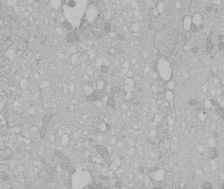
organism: Human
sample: Melanocyte Keratinocyte synapse skin construct